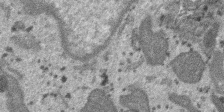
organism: Human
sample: Lung epithelial cells infected with SARS-CoV-2